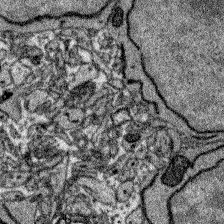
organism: Zebrafish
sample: Larval olfactory bulb